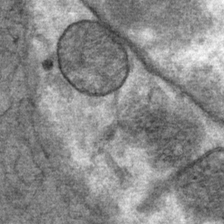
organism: Mouse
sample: Mouse Salivary gland